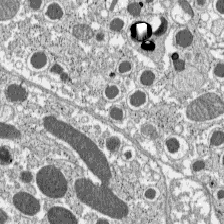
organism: C57BL Mouse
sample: Pancreatic islet